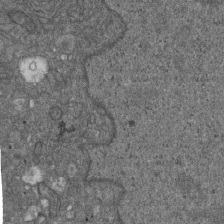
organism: Drosophila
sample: Nephrocyte